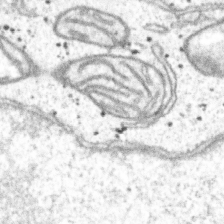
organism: Human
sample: HeLa cells